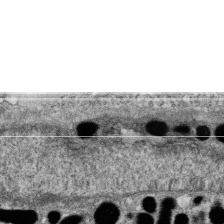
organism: Zebrafish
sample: Cilia; retinal pigment epithelium